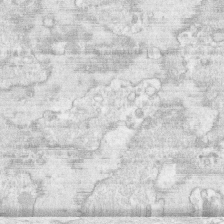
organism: Human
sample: CRL-1474